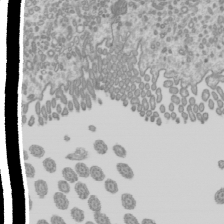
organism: Mouse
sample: Cilia; mouse epididymis